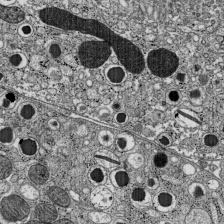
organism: C57BL Mouse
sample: Pancreatic islet